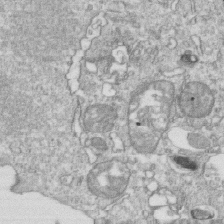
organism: Mouse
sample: Activated OT-1 CD8+ T cells